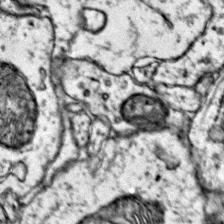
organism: Mouse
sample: Primary visual cortex